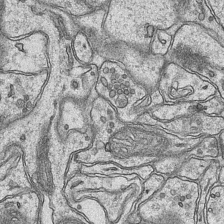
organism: Mouse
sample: CA1 Hippocampus